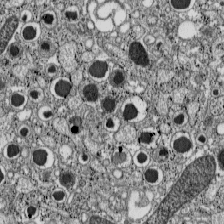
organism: C57BL Mouse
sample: Pancreatic islet